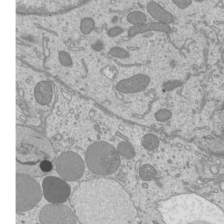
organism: Mouse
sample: Cilia; mouse epididymis